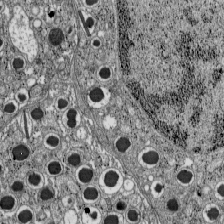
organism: C57BL Mouse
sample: Pancreatic islet